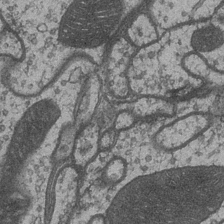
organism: Drosophila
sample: Optic medulla